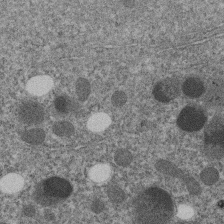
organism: C. elegans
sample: C. elegans embryo early stage